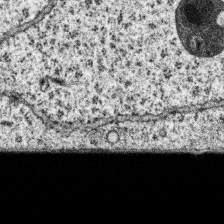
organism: Human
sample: HeLa cells